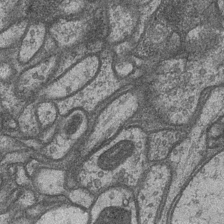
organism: Drosophila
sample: Optic medulla